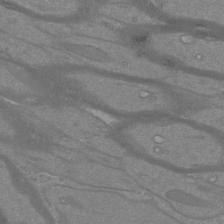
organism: Mouse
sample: Cortical neurons